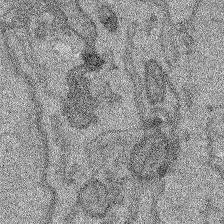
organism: Human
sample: HeLa cells